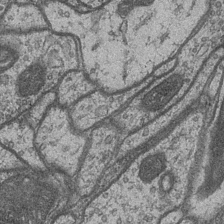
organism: Drosophila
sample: Optic medulla